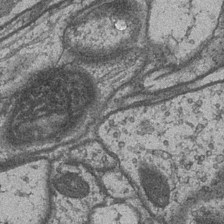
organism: Drosophila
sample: Optic medulla